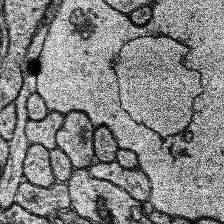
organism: Human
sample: Temporal Lobe